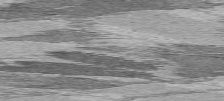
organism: C57BL Mouse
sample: Heart